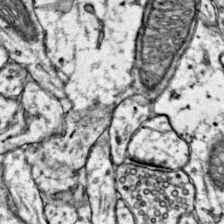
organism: Mouse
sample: Primary visual cortex